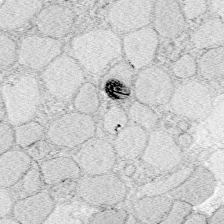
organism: Zebrafish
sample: Whole-Brain